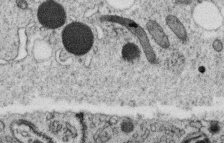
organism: C. elegans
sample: C. elegans oocyte; sperm cells